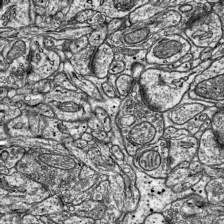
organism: Mouse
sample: Visual Cortex